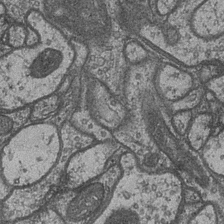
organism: Drosophila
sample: Optic medulla